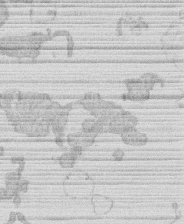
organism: Human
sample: Macrophage cells